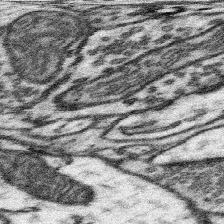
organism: Mouse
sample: Somatosensory cortex neuropil